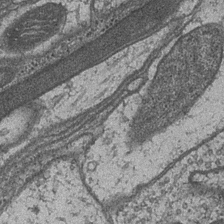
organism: Drosophila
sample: Optic medulla